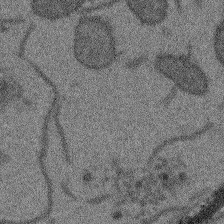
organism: Arabidopsis thaliana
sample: Root tip